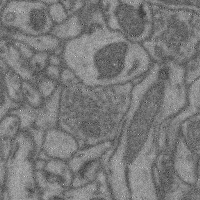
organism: Mouse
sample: Cerebral cortex